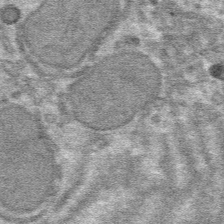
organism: Mouse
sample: Mouse hepatocytes